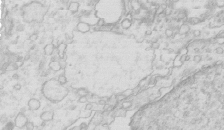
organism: Mouse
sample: Multiciliated cells